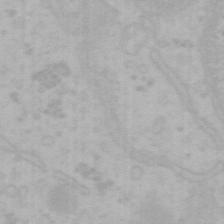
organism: Mouse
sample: Choroid plexus